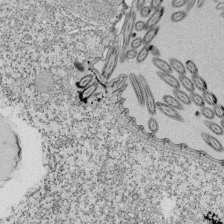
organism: Tetrahymena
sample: Cilia in tetrahymena